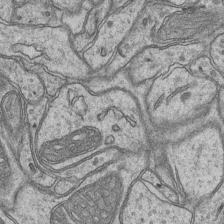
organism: Mouse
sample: CA1 Hippocampus